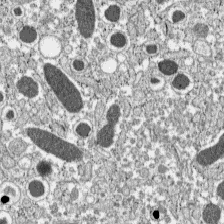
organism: C57BL Mouse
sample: Pancreatic islet